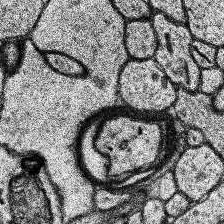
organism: Human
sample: Temporal Lobe